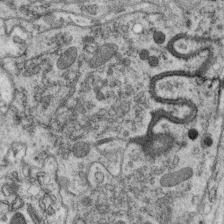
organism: C. elegans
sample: C. elegans oocyte; sperm cells